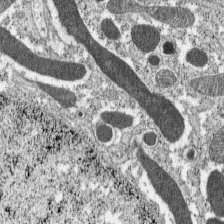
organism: C57BL Mouse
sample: Pancreatic islet